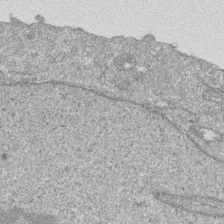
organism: Human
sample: HeLa cell HIV synapse